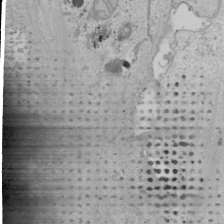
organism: Human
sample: Mitochondria in U2OS cells